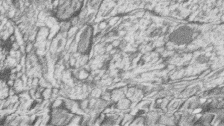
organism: Zebrafish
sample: synaptic ribbons in rod cells and cone cells